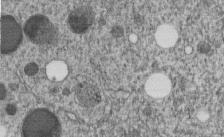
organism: C. elegans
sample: C. elegans embryo early stage